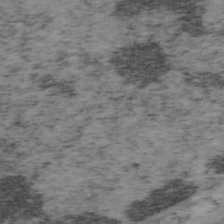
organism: Mouse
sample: OT-I killer T cells with ID8 ovarian cancer cells